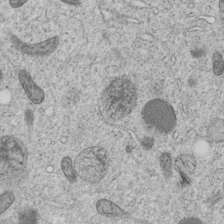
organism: C. elegans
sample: C. elegans embryo early stage